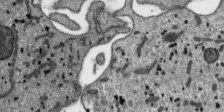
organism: Human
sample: Lung epithelial cells, uninfected (mock) control